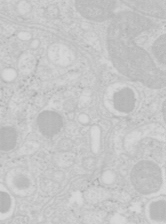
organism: Mouse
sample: Pancreas